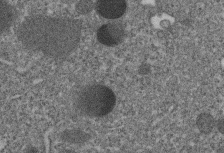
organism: C. elegans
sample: C. elegans embryo early stage